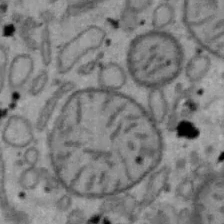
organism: Mouse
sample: Liver